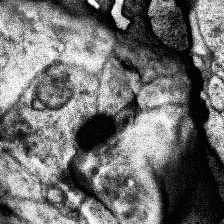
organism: Human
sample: Temporal Lobe